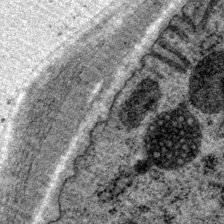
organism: P. pacificus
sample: Pharynx